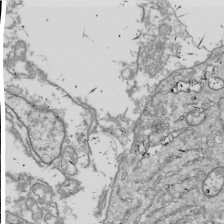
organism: Drosophila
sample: Cell division; meiosis; drosophila spermatocytes